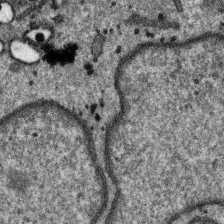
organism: Human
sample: Lung epithelial cells infected with SARS-CoV-2